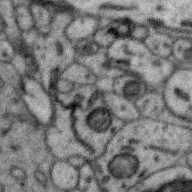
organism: Zebra finch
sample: Brain